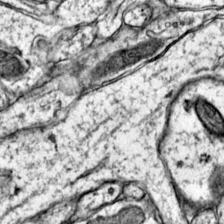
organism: Mouse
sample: Primary visual cortex